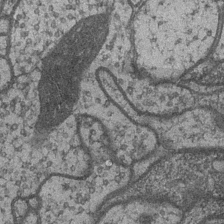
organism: Drosophila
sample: Optic medulla